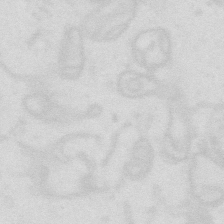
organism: Human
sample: HeLa cells